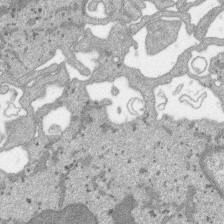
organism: Human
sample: Lung epithelial cells infected with SARS-CoV-2